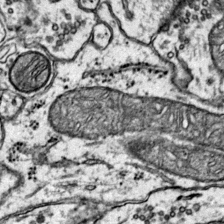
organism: Mouse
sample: Primary visual cortex